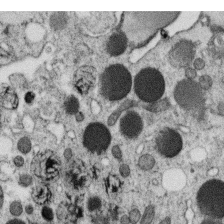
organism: C. elegans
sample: C. elegans oocyte; sperm cells